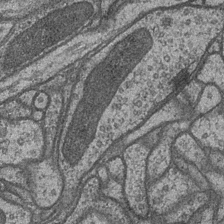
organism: Drosophila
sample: Optic medulla